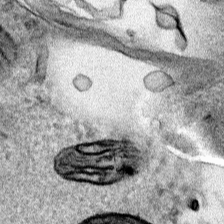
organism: Human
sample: Mitochondria in HCT116 cells